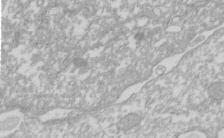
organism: Xenopus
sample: Cilia; centrioles in frog embryo cells